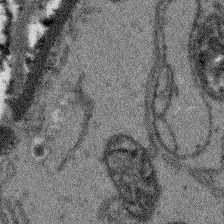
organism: Arabidopsis thaliana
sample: Root tip